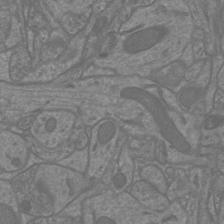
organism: Mouse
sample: Cortical neurons